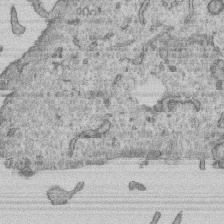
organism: Human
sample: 1205lu cells